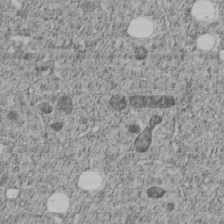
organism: C. elegans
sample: C. elegans embryo early stage